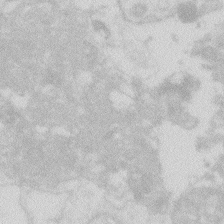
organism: Zebrafish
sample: Macrophage